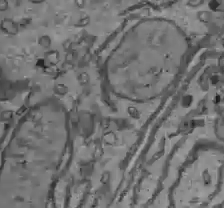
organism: C57BL Mouse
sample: Liver